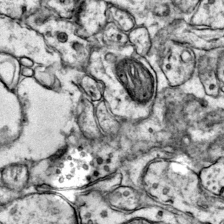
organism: Mouse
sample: Primary visual cortex